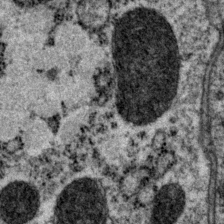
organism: P. pacificus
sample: Pharynx